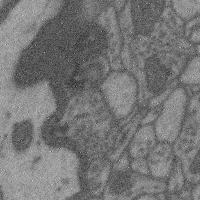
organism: Mouse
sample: Cerebral cortex